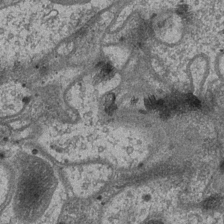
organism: Drosophila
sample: Optic medulla